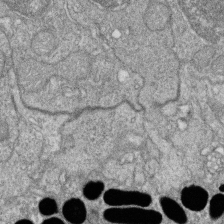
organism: Zebrafish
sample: Cilia; retinal pigment epithelium